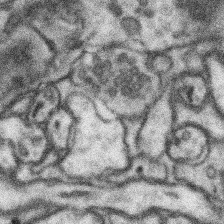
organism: Mouse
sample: Somatosensory cortex neuropil